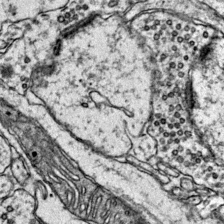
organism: Mouse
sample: Primary visual cortex